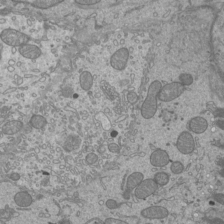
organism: Mouse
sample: Cilia; mouse epididymis